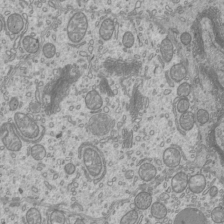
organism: Mouse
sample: Cilia; mouse epididymis